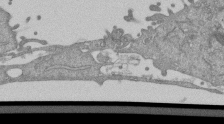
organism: Mouse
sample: ED-1 cell nuclei; centrioles